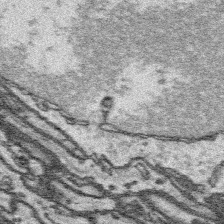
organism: Platynereis dumerilii